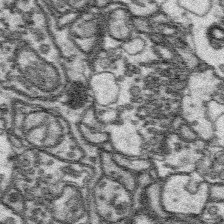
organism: Platynereis dumerilii